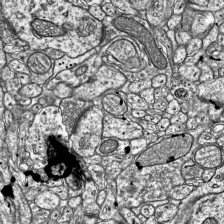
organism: Mouse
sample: Visual Cortex